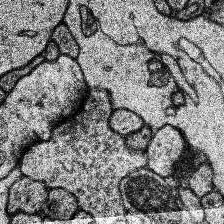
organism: Human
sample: Temporal Lobe